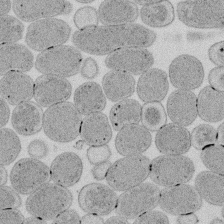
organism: E. coli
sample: Bacterial nucleoid